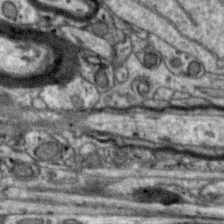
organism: Zebra finch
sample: Brain